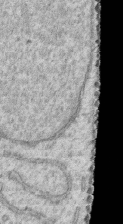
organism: Human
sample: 1205lu cells